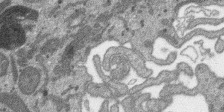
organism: Human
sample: Lung epithelial cells infected with SARS-CoV-2